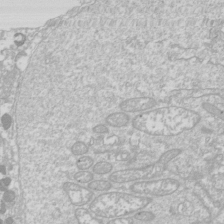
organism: Drosophila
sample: Cell division; meiosis; drosophila spermatocytes